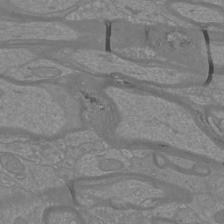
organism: Mouse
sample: Cortical neurons